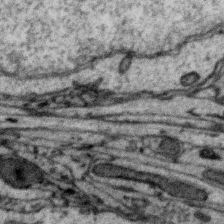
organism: Zebra finch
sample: Brain